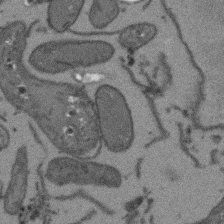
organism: Arabidopsis thaliana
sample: Root tip